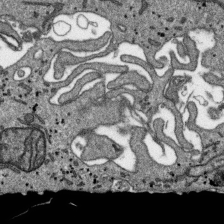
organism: Human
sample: Lung epithelial cells, uninfected (mock) control